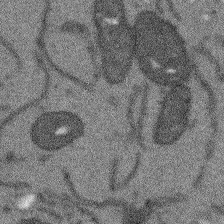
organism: Arabidopsis thaliana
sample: Root tip